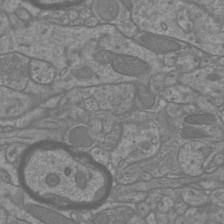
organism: Mouse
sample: Cortical neurons